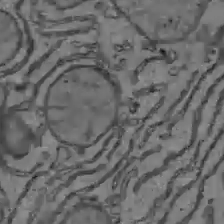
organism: C57BL Mouse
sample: Liver